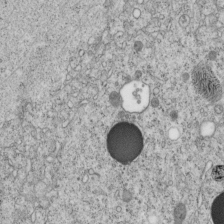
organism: C. elegans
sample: C. elegans embryo early stage